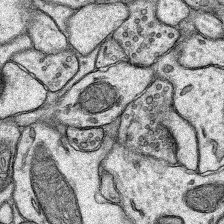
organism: Rat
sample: Hippocampus